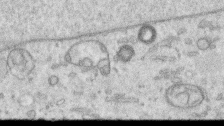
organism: Human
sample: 1205lu cells